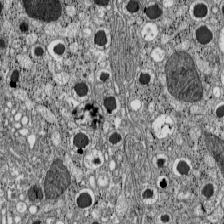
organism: C57BL Mouse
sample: Pancreatic islet